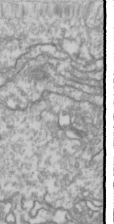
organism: Drosophila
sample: Cell division; meiosis; drosophila spermatocytes